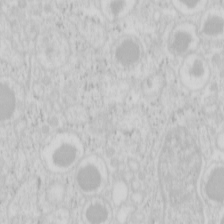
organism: Mouse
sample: Pancreas